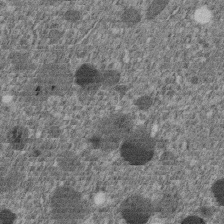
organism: C. elegans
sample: C. elegans embryo early stage